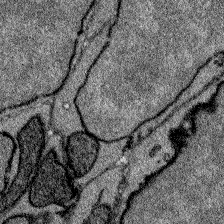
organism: Zebrafish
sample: Larval olfactory bulb